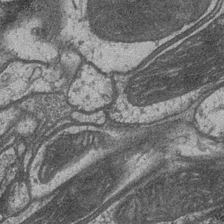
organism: Drosophila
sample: Optic medulla